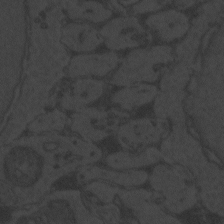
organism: Zebrafish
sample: Macrophage infected with Toxoplasma gondii